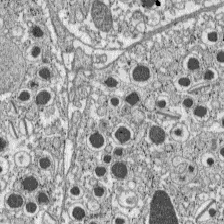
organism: C57BL Mouse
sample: Pancreatic islet